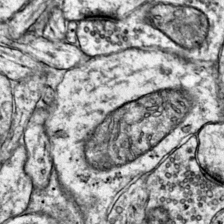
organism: Mouse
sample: Primary visual cortex